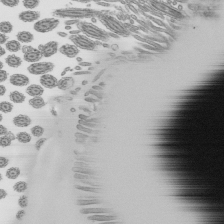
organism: Mouse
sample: Mouse epididymis efferent ductule cilia